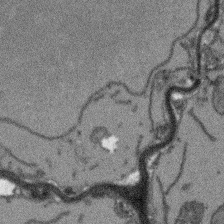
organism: Arabidopsis thaliana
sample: Root tip